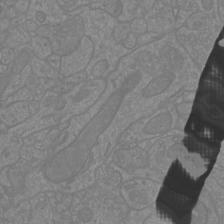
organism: Mouse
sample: Cortical neurons